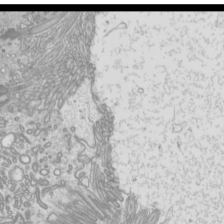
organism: Mouse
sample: Cilia; mouse epididymis